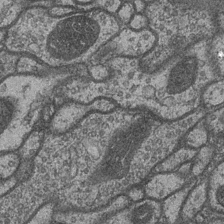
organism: Drosophila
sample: Optic medulla